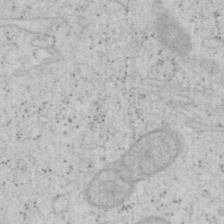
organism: Human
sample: HeLa cells